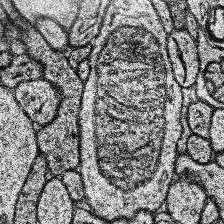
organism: Human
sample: Temporal Lobe